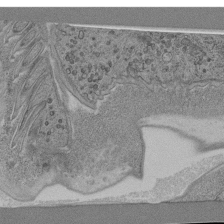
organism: C. elegans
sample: C. elegans pharynx